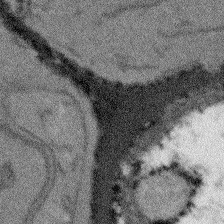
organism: Arabidopsis thaliana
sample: Root tip